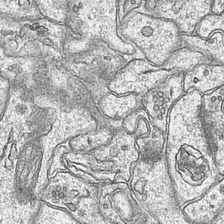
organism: Mouse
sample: CA1 Hippocampus